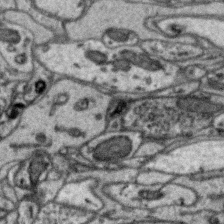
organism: Zebra finch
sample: Brain